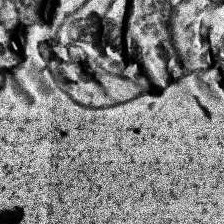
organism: Human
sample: Temporal Lobe